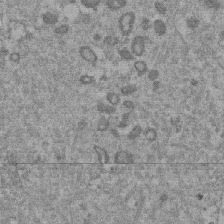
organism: Mouse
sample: Dividing mouse embryo 1 cell stage